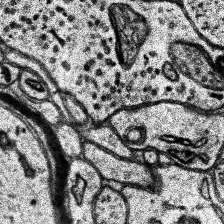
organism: Human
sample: Temporal Lobe